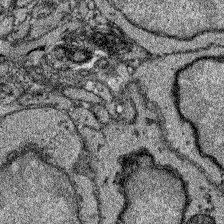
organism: Zebrafish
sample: Larval olfactory bulb